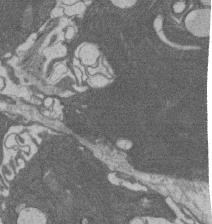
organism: Rat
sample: Salivary granule